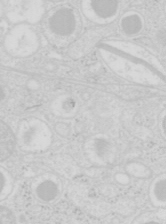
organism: Mouse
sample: Pancreas